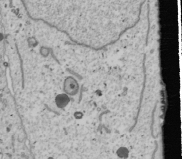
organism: Human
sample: Mitochondria in U2OS cells